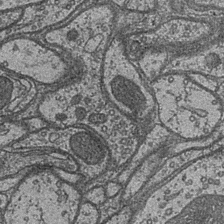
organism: Drosophila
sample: Optic medulla